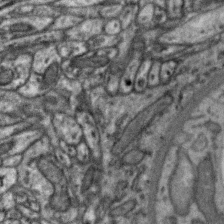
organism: Zebra finch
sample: Brain